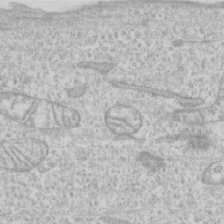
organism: Human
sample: CRL-1474